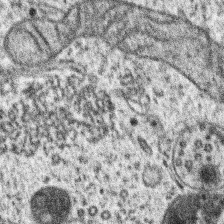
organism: Human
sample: HeLa cells